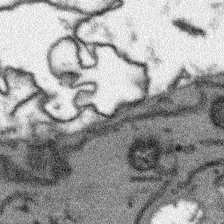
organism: Arabidopsis thaliana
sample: Root tip